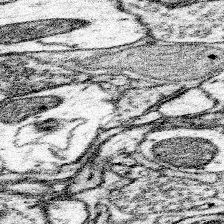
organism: Mouse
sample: Somatosensory cortex neuropil